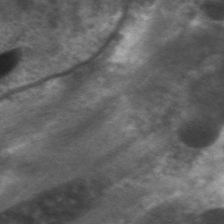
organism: C. elegans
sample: Pharynx